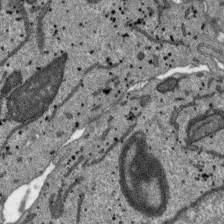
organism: Human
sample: Lung epithelial cells, uninfected (mock) control